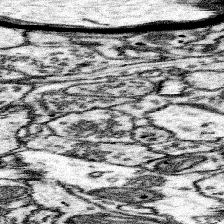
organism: Mouse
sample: Somatosensory cortex neuropil